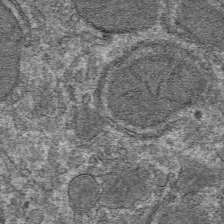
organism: Mouse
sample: Mouse hepatocytes